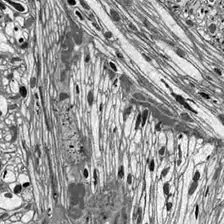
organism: Drosophila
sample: Optic lobe